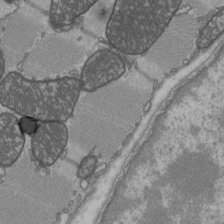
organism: C57BL Mouse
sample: Heart